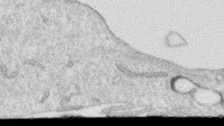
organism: Human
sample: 1205lu cells